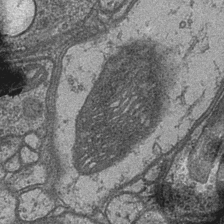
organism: Drosophila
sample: Optic medulla